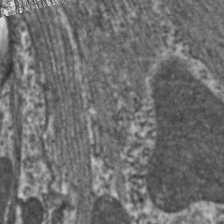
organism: C. elegans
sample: Pharynx